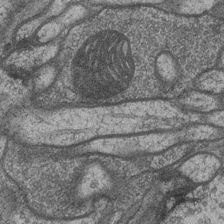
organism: Drosophila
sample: Optic medulla